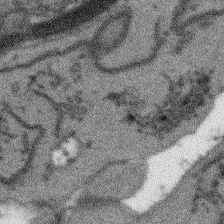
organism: Arabidopsis thaliana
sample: Root tip